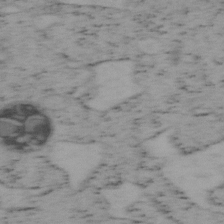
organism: Mouse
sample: OT-I killer T cells with ID8 ovarian cancer cells